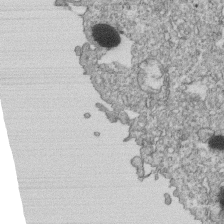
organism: Human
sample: HeLa cell HIV synapse